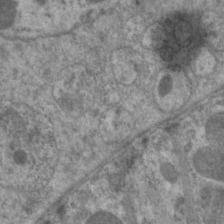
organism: C. elegans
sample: Pharynx